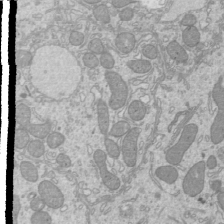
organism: Mouse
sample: Cilia; mouse epididymis